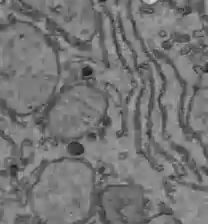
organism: C57BL Mouse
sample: Liver